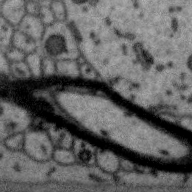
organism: Zebra finch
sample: Brain